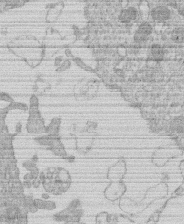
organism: Human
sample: Macrophage cells